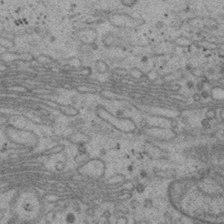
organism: Human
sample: HeLa cells